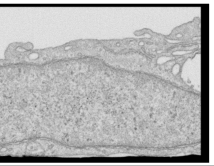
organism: Human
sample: Centriole in RPE cells